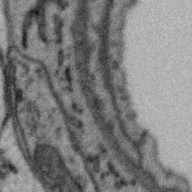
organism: Zebra finch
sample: Brain